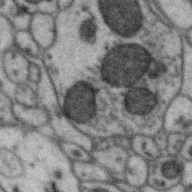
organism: Zebra finch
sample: Brain